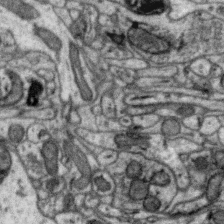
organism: Zebra finch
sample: Brain